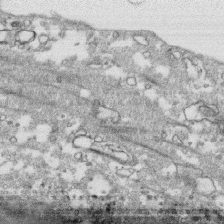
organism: Human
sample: CRL-1474